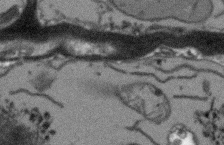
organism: Arabidopsis thaliana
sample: Root tip